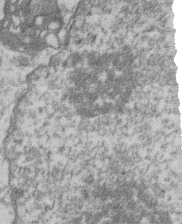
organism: Mouse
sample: T cell stromal cell synapse